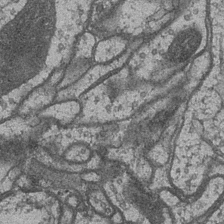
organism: Drosophila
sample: Optic medulla